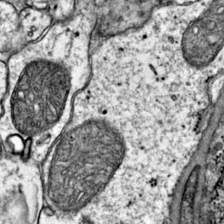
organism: Mouse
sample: Primary visual cortex